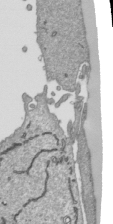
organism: Human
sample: Mitochondria in HCT116 cells